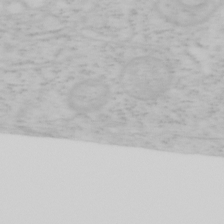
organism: Mouse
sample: OT-I killer T cells with ID8 ovarian cancer cells